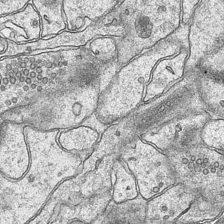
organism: Mouse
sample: CA1 Hippocampus